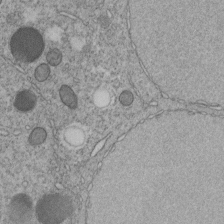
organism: C. elegans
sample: C. elegans embryo early stage